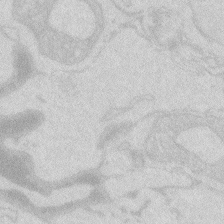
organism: Zebrafish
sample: Macrophage